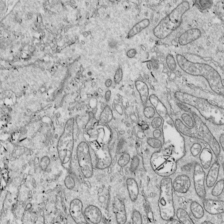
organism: Drosophila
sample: Cell division; meiosis; drosophila spermatocytes